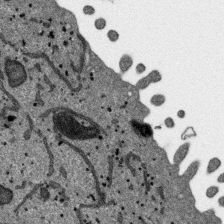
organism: Human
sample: Lung epithelial cells, uninfected (mock) control